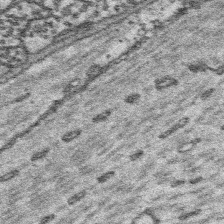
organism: Platynereis dumerilii